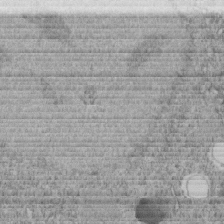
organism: C. elegans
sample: C. elegans embryo early stage